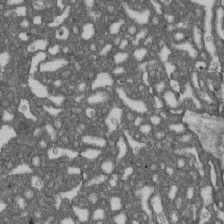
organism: Drosophila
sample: Nephrocyte